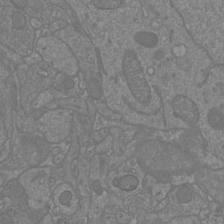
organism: Mouse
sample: Cortical neurons